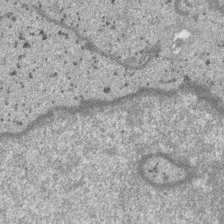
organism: Human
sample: Lung epithelial cells infected with SARS-CoV-2